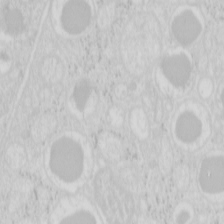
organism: Mouse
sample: Pancreas